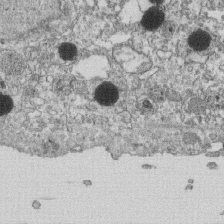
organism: Human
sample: HeLa cell HIV synapse